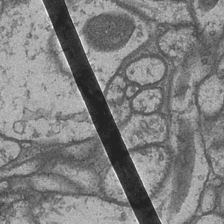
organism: Drosophila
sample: Optic medulla